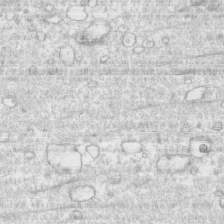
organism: Human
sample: CRL-1474